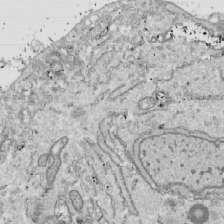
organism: Drosophila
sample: Cell division; meiosis; drosophila spermatocytes